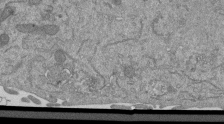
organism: Mouse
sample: ED-1 cell nuclei; centrioles